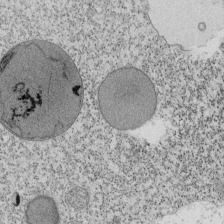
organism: Tetrahymena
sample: Cilia in tetrahymena